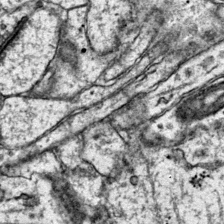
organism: Mouse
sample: Primary visual cortex